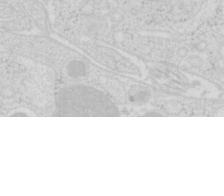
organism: Mouse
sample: Pancreas